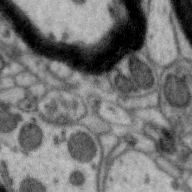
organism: Zebra finch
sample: Brain